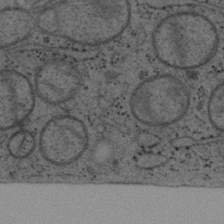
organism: Human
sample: HeLa cells